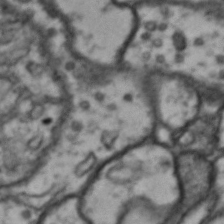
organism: Drosophila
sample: Brain